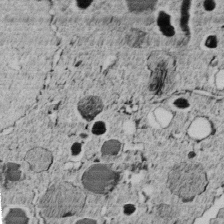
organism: C. elegans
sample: C. elegans embryo early stage